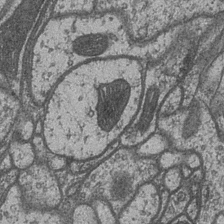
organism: Drosophila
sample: Optic medulla